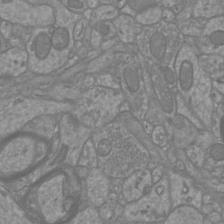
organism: Mouse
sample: Cortical neurons